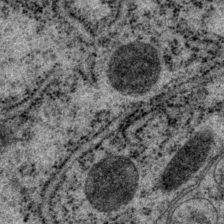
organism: P. pacificus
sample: Pharynx